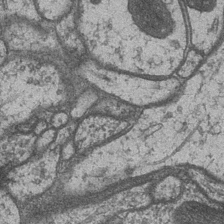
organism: Drosophila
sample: Optic medulla